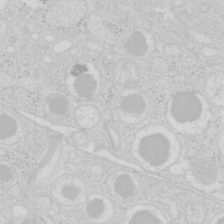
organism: Mouse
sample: Pancreas